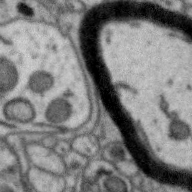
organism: Zebra finch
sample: Brain